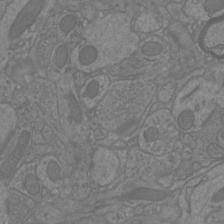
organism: Mouse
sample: Cortical neurons